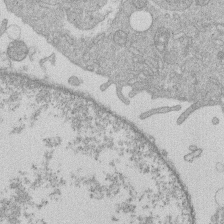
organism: Human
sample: Macrophage cells